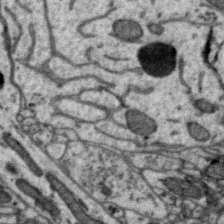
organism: Zebra finch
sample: Brain